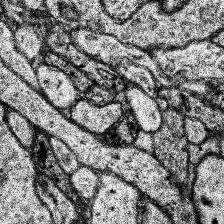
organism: Human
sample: Temporal Lobe